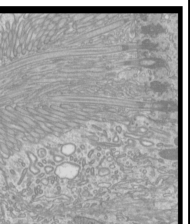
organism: Mouse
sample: Cilia; mouse epididymis